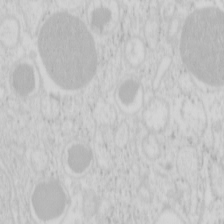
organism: Mouse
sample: Pancreas